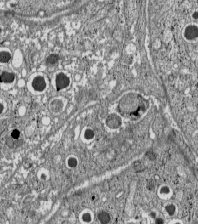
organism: C57BL Mouse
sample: Pancreatic islet